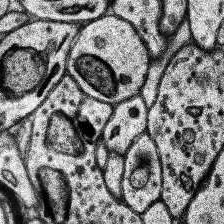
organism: Human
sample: Temporal Lobe